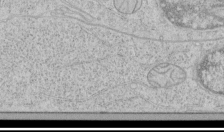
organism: Human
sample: Mitochondria in HCT116 cells